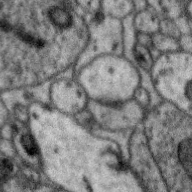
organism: Zebra finch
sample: Brain